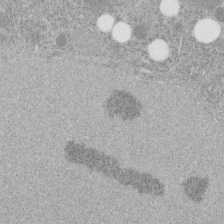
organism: C. elegans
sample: C. elegans embryo early stage